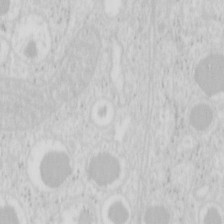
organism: Mouse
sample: Pancreas